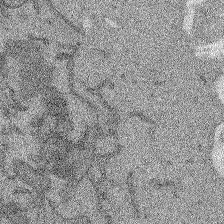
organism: Human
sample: HeLa cells